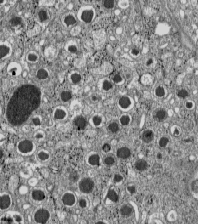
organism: C57BL Mouse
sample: Pancreatic islet